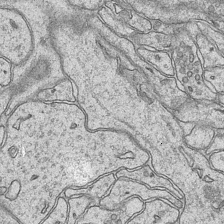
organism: Mouse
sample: CA1 Hippocampus